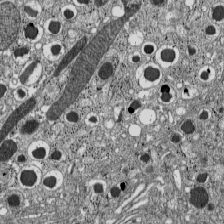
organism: C57BL Mouse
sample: Pancreatic islet